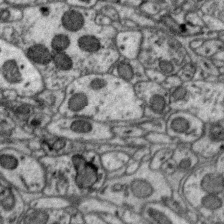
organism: Zebra finch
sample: Brain